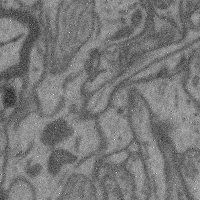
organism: Mouse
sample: Cerebral cortex